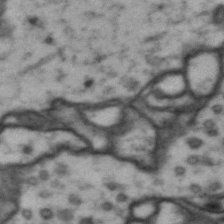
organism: Drosophila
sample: Brain